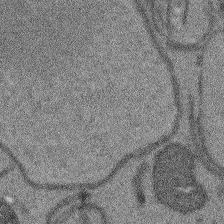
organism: Arabidopsis thaliana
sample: Root tip